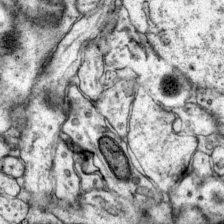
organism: Mouse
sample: Primary visual cortex